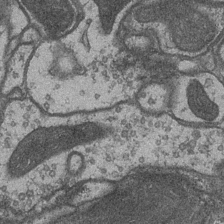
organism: Drosophila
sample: Optic medulla